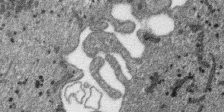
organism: Human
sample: Lung epithelial cells infected with SARS-CoV-2